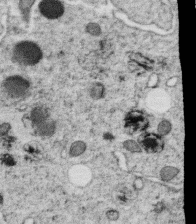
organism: C. elegans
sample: C. elegans oocyte; sperm cells